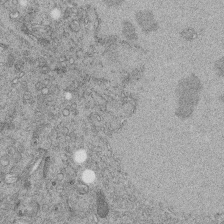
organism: C. elegans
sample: C. elegans embryo early stage